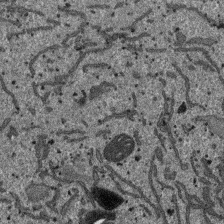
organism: Human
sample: Lung epithelial cells infected with SARS-CoV-2